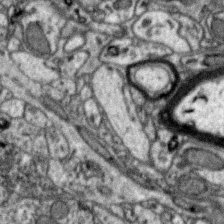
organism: Zebra finch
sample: Brain